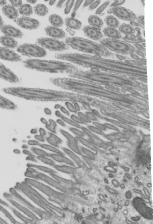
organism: Mouse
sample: Mouse epididymis efferent ductule cilia